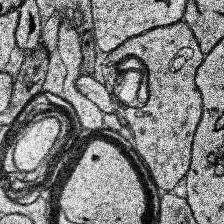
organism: Human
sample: Temporal Lobe